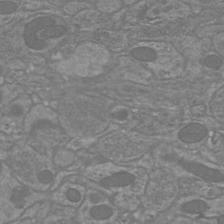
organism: Mouse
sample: Cortical neurons